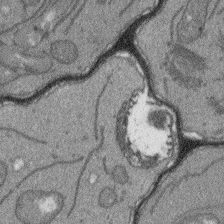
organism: Arabidopsis thaliana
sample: Root tip